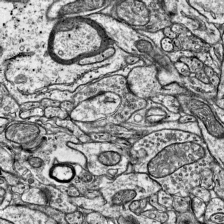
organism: Mouse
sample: Visual Cortex